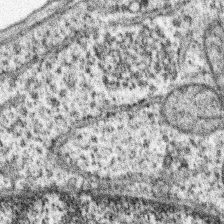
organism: Human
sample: HeLa cells